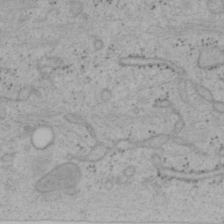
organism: Human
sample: HeLa cells